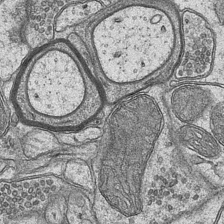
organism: Mouse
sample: CA1 Hippocampus